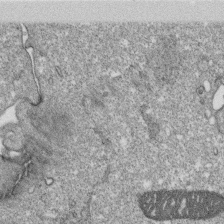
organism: African green monkey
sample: Vero E6 cells infected with SARS-CoV-2